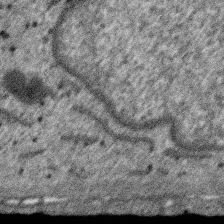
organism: Human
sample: Lung epithelial cells infected with SARS-CoV-2